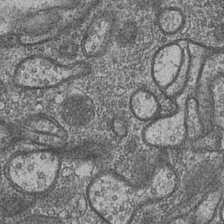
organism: Drosophila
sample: Optic medulla